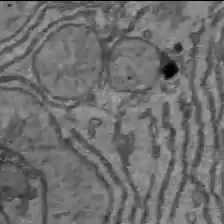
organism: C57BL Mouse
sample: Liver